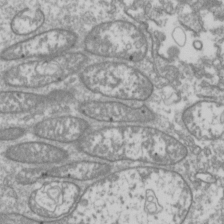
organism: Drosophila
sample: Cell division; meiosis; drosophila spermatocytes